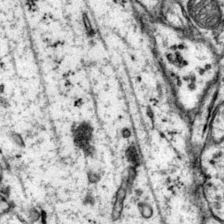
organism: Mouse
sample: Primary visual cortex